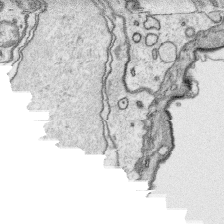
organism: Platynereis dumerilii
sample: Parapodia